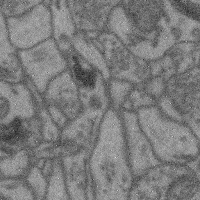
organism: Mouse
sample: Cerebral cortex